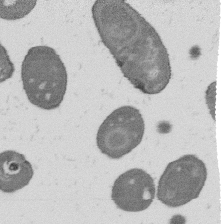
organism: B. subtilis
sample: Bacterial spore